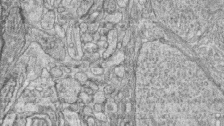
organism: Zebrafish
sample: synaptic ribbons in rod cells and cone cells